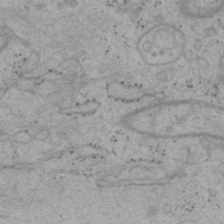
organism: Human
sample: HeLa cells